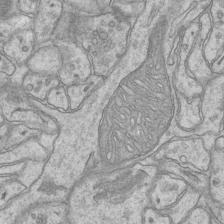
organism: Mouse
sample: CA1 Hippocampus